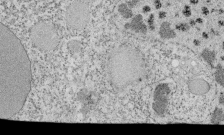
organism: Tetrahymena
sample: Cilia in tetrahymena